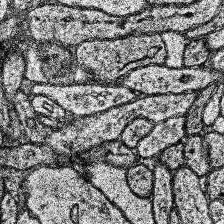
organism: Human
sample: Temporal Lobe